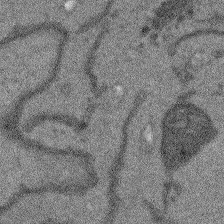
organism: Arabidopsis thaliana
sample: Root tip